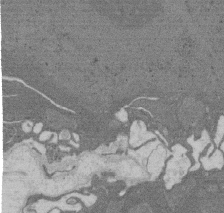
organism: Rat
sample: Salivary granule